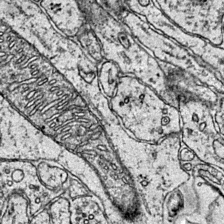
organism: Mouse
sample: Primary visual cortex